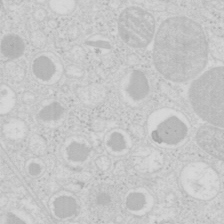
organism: Mouse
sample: Pancreas